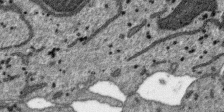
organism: Human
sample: Lung epithelial cells, uninfected (mock) control